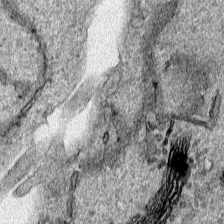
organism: Human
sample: Mitochondria in HCT116 cells